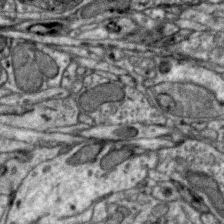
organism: Zebra finch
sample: Brain